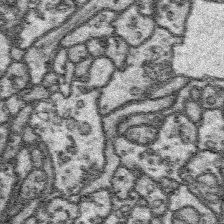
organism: Platynereis dumerilii